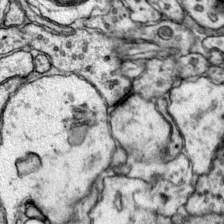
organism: Mouse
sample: Primary visual cortex